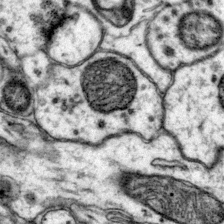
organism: Mouse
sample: Primary visual cortex